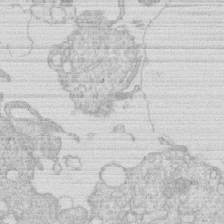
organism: Human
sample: Macrophage cells